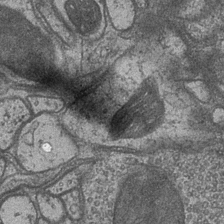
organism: Drosophila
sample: Optic medulla